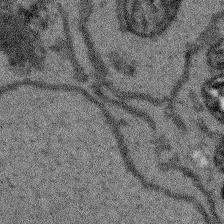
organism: Arabidopsis thaliana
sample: Root tip